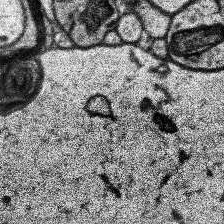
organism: Human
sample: Temporal Lobe